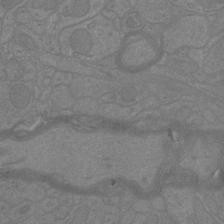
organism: Mouse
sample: Cortical neurons